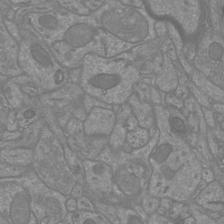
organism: Mouse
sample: Cortical neurons